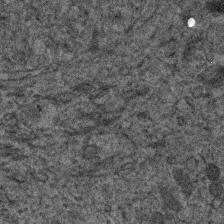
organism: Human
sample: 1205lu cells